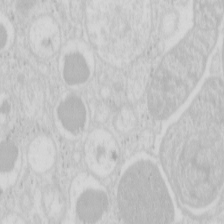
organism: Mouse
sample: Pancreas